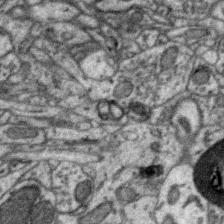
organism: Zebra finch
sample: Brain